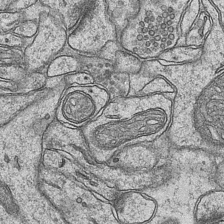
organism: Mouse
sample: CA1 Hippocampus